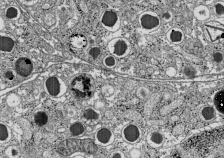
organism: C57BL Mouse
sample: Pancreatic islet